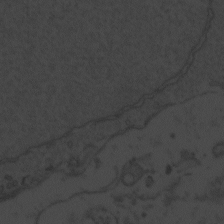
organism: Zebrafish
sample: Macrophage infected with Toxoplasma gondii